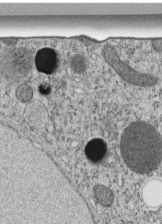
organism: C. elegans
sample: C. elegans embryo early stage